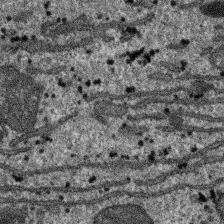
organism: Human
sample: Lung epithelial cells infected with SARS-CoV-2